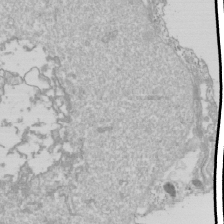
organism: Drosophila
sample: Cell division; meiosis; drosophila spermatocytes